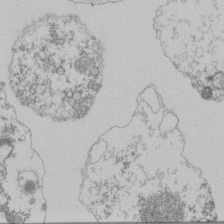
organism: Mouse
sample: Activated Pmel transgenic CD8+ T Cells